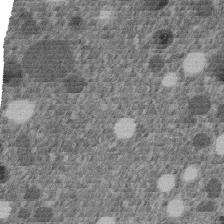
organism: C. elegans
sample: C. elegans embryo early stage